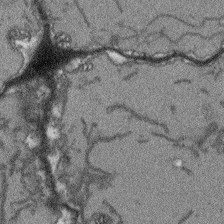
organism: Arabidopsis thaliana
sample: Root tip